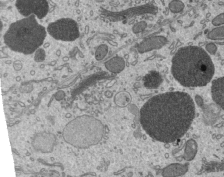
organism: Mouse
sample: Mouse epididymis efferent ductule cilia